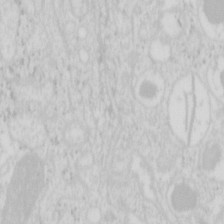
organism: Mouse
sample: Pancreas